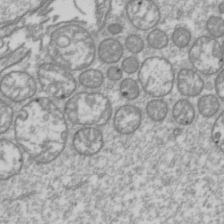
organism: Drosophila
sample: Cell division; meiosis; drosophila spermatocytes